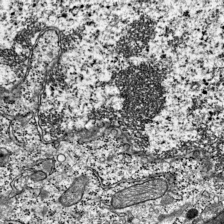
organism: Mouse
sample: Visual Cortex